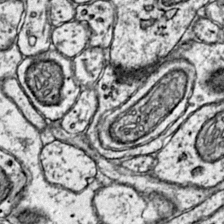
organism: Mouse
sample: Primary visual cortex